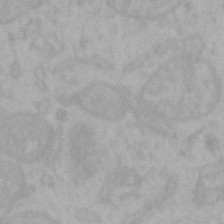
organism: Mouse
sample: Choroid plexus